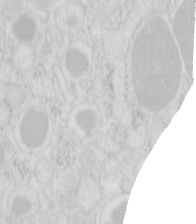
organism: Mouse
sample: Pancreas